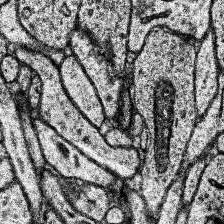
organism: Human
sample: Temporal Lobe